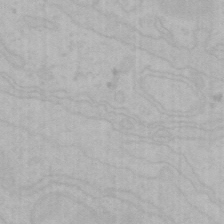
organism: Mouse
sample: Choroid plexus